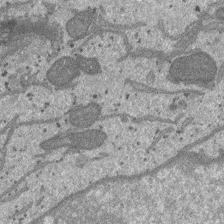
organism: Human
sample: Lung epithelial cells infected with SARS-CoV-2